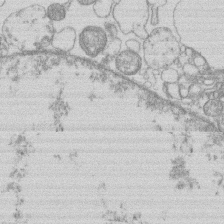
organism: Human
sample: Macrophage cells